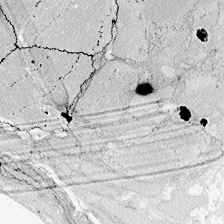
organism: Zebrafish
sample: Whole-Brain